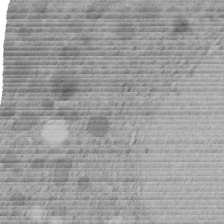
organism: C. elegans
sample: C. elegans embryo early stage